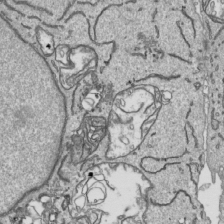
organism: Human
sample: Mitochondria in HCT116 cells